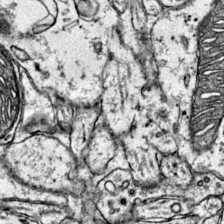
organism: Mouse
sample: Primary visual cortex